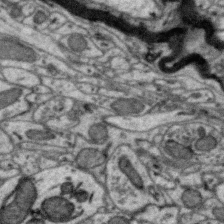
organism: Zebra finch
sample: Brain